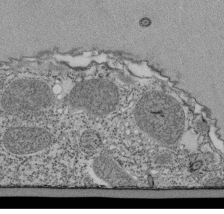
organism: Tetrahymena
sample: Cilia in tetrahymena